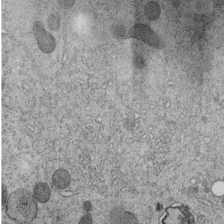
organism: C. elegans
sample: C. elegans embryo early stage